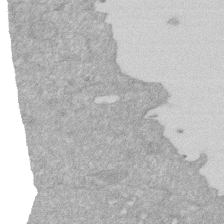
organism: Human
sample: HIV infected U937 cells